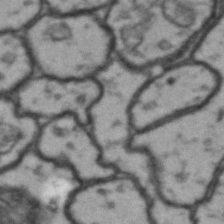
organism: Drosophila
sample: Brain